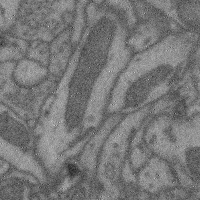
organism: Mouse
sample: Cerebral cortex